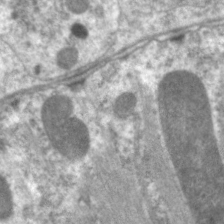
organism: C. elegans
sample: Pharynx